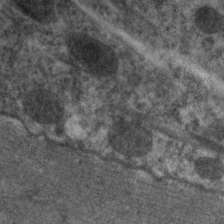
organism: C. elegans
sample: Pharynx